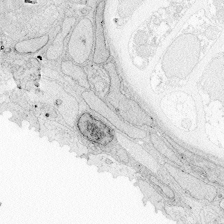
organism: Zebrafish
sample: Whole-Brain